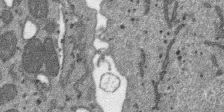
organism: Human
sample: Lung epithelial cells infected with SARS-CoV-2